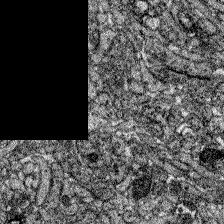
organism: Zebrafish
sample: Larval olfactory bulb